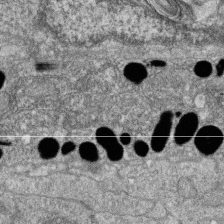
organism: Zebrafish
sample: Cilia; retinal pigment epithelium